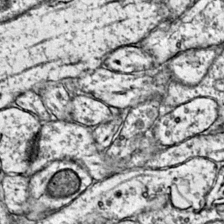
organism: Mouse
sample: Primary visual cortex